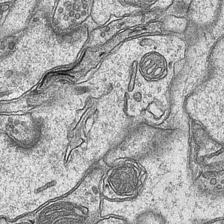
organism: Mouse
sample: CA1 Hippocampus